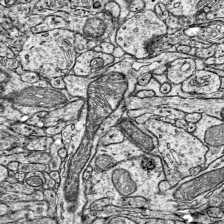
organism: Mouse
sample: Visual Cortex